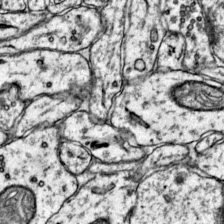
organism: Mouse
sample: Primary visual cortex